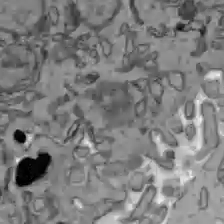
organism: C57BL Mouse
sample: Liver